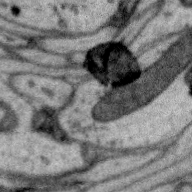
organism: Zebra finch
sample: Brain